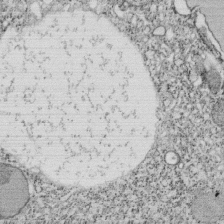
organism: Tetrahymena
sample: Cilia in tetrahymena